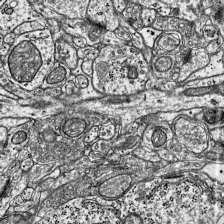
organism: Mouse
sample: Visual Cortex